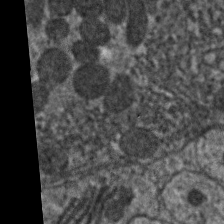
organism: C. elegans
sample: Pharynx